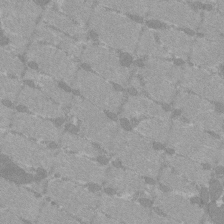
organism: C57BL Mouse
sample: Tibialis anterior muscle cell